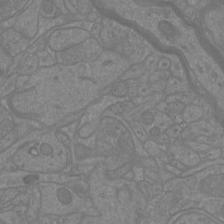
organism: Mouse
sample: Cortical neurons